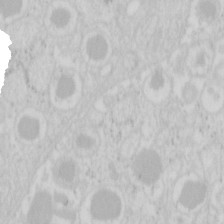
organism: Mouse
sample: Pancreas